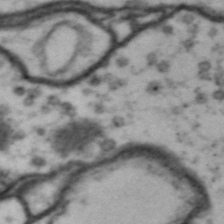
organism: Drosophila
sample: Brain